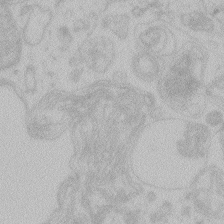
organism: Zebrafish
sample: Macrophage infected with Toxoplasma gondii